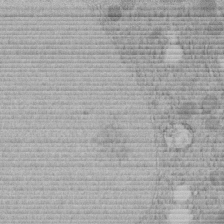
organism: C. elegans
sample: C. elegans embryo early stage